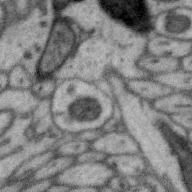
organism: Zebra finch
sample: Brain